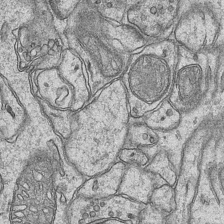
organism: Mouse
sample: CA1 Hippocampus